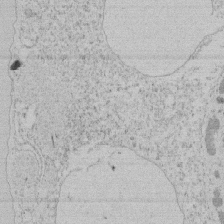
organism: Tetrahymena